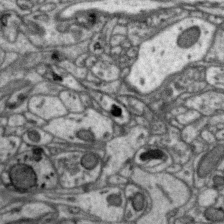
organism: Zebra finch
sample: Brain